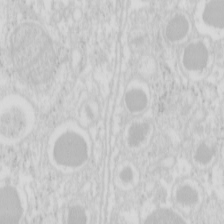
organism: Mouse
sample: Pancreas